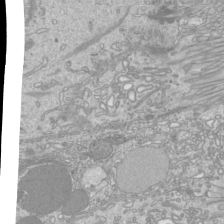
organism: Mouse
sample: Cilia; mouse epididymis